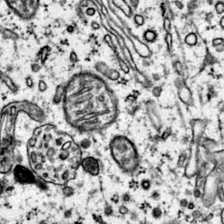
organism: Mouse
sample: Primary visual cortex